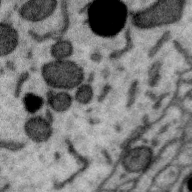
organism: Zebra finch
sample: Brain